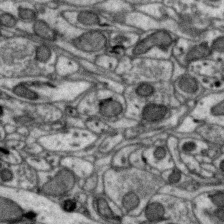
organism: Zebra finch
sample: Brain